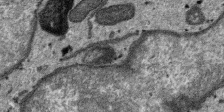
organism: Human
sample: Lung epithelial cells, uninfected (mock) control